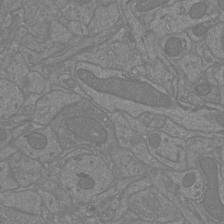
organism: Mouse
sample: Cortical neurons